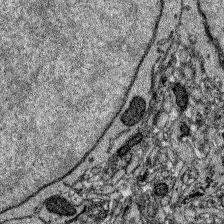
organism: Zebrafish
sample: Larval olfactory bulb